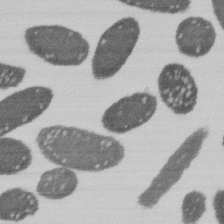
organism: E. coli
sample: Bacterial nucleoid